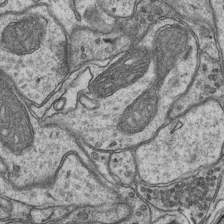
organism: Mouse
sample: CA1 Hippocampus